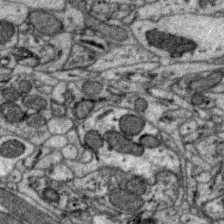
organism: Zebra finch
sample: Brain